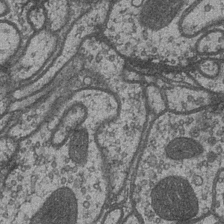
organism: Drosophila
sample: Optic medulla